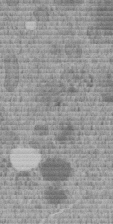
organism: C. elegans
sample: C. elegans embryo early stage